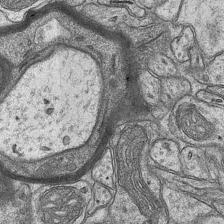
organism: Mouse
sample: CA1 Hippocampus